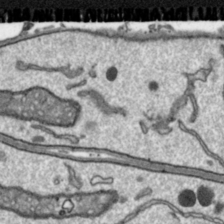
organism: Toxoplasma gondii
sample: Parasites in a vacuole inside a host cell